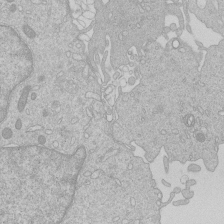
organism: Human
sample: Macrophage cells